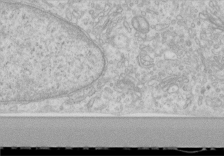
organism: Human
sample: Centriole in RPE cells